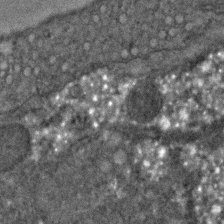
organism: C. elegans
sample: C. elegans embryo